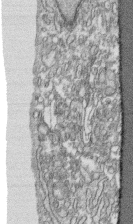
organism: Human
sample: CRL-1474